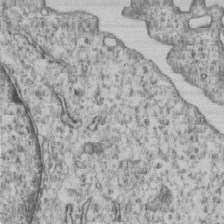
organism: Human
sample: MDA-MB-231 cells